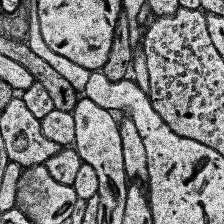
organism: Human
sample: Temporal Lobe